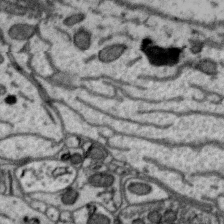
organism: Zebra finch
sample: Brain